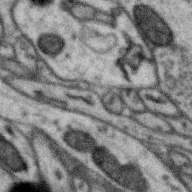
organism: Zebra finch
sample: Brain